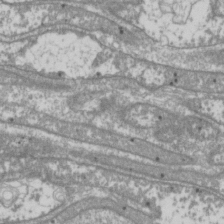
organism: Drosophila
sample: Cell division; meiosis; drosophila spermatocytes